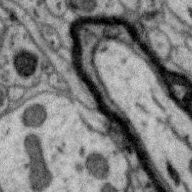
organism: Zebra finch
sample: Brain